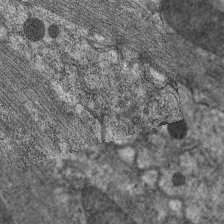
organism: C. elegans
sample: Pharynx